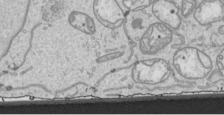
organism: Human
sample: Mitochondria in HCT116 cells